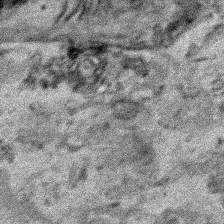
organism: Human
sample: Mitochondria in HCT116 cells